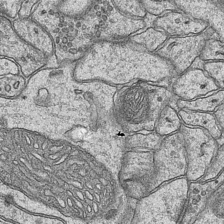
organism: Mouse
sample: CA1 Hippocampus